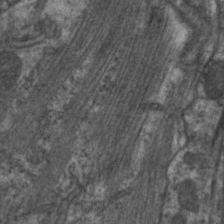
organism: C. elegans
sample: Pharynx